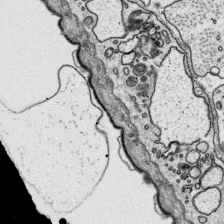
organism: Platynereis dumerilii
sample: Parapodia